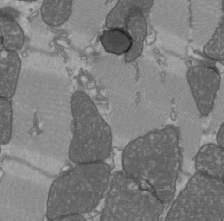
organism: C57BL Mouse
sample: Heart